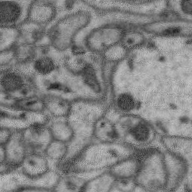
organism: Zebra finch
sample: Brain